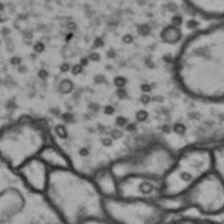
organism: Drosophila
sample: Brain